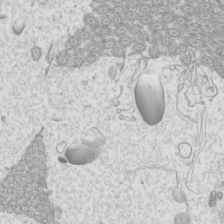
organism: Mouse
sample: Cilia; mouse epididymis